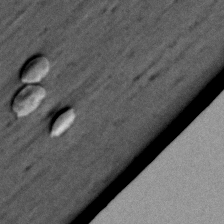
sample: Trachea